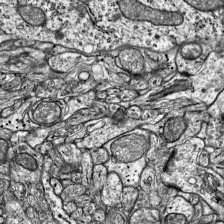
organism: Mouse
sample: Visual Cortex